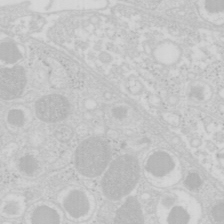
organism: Mouse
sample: Pancreas